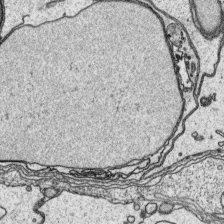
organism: Platynereis dumerilii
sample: Parapodia